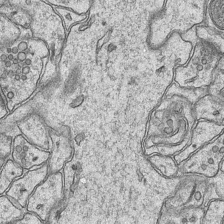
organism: Mouse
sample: CA1 Hippocampus